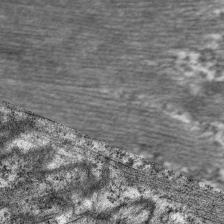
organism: C. elegans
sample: Pharynx